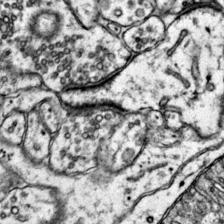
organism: Mouse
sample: Primary visual cortex